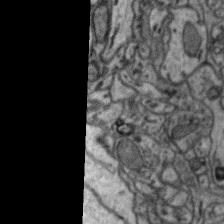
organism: Zebra finch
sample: Brain